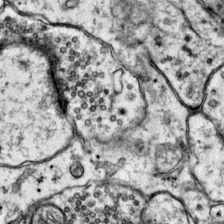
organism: Mouse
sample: Primary visual cortex